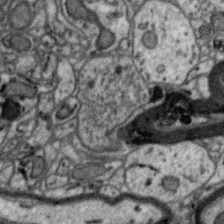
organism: Zebra finch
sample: Brain